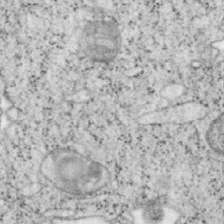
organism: Mouse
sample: OT-I killer T cells with ID8 ovarian cancer cells